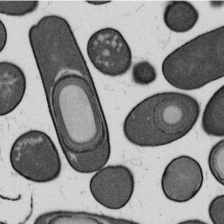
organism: B. subtilis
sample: Bacterial spore